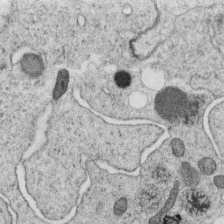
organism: C. elegans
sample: C. elegans oocyte; sperm cells